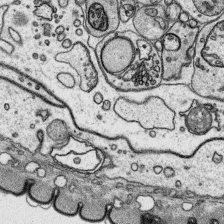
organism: Platynereis dumerilii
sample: Parapodia